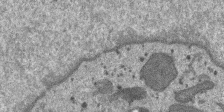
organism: Human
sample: Lung epithelial cells infected with SARS-CoV-2